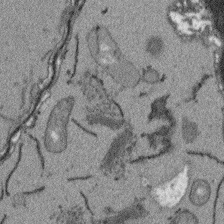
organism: Arabidopsis thaliana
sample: Root tip